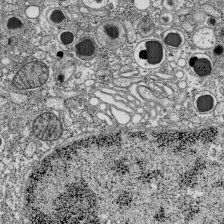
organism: C57BL Mouse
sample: Pancreatic islet